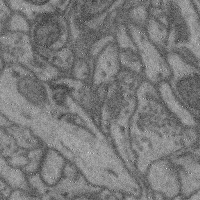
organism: Mouse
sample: Cerebral cortex